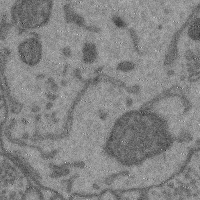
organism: Mouse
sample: Cerebral cortex